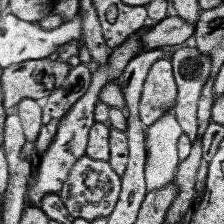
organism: Human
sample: Temporal Lobe